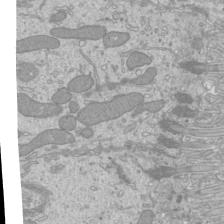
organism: Mouse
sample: Cilia; mouse epididymis